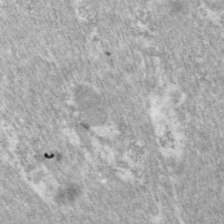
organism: C. elegans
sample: Pharynx